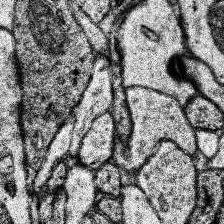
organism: Human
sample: Temporal Lobe